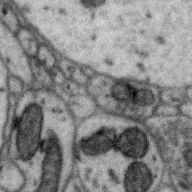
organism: Zebra finch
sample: Brain